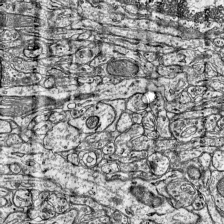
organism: Mouse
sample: Visual Cortex